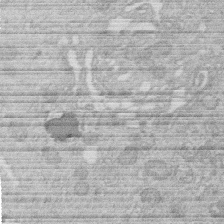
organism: Human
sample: Macrophage cells